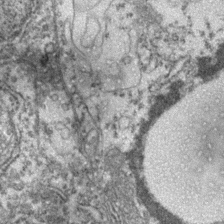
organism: Zebrafish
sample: Zebrafish embryo